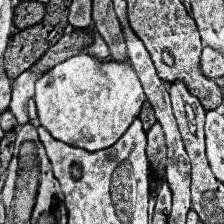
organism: Human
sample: Temporal Lobe